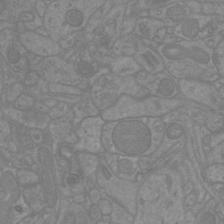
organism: Mouse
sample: Cortical neurons